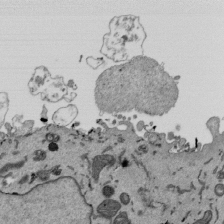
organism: Mouse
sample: ED-1 cell nuclei; centrioles